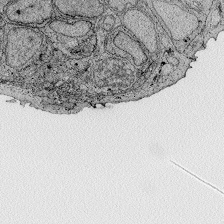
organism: Zebrafish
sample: Whole-Brain